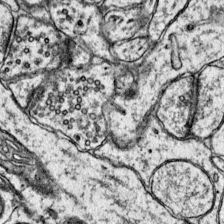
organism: Mouse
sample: Primary visual cortex